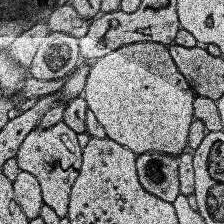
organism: Human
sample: Temporal Lobe